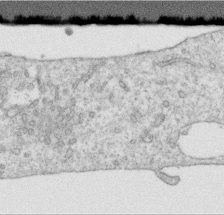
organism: Human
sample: Centriole in RPE cells